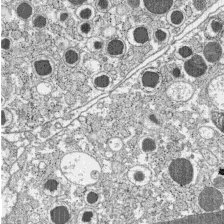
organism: C57BL Mouse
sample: Pancreatic islet